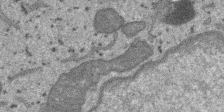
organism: Human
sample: Lung epithelial cells infected with SARS-CoV-2